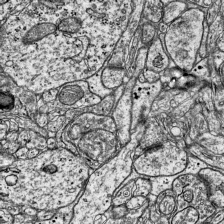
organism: Mouse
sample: Visual Cortex